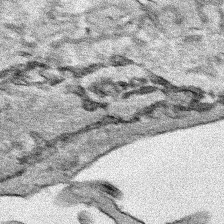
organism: Human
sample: Mitochondria in HCT116 cells